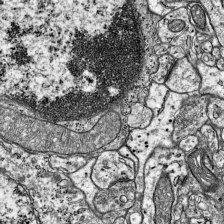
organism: Mouse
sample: Visual Cortex